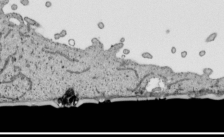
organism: Human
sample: Mitochondria in HCT116 cells